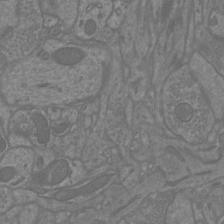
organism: Mouse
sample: Cortical neurons